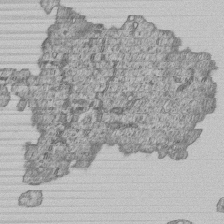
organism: Human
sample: MDA-MB-231 cells